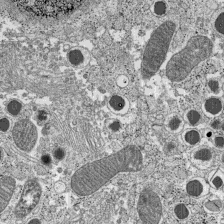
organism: C57BL Mouse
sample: Pancreatic islet